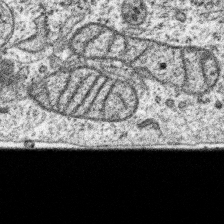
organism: Human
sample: HeLa cells